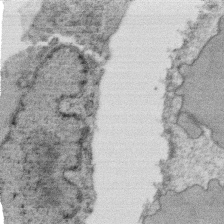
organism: C. elegans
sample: C. elegans oocyte; sperm cells